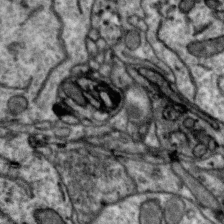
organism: Zebra finch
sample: Brain